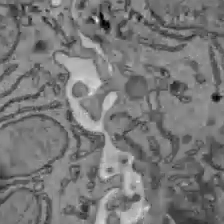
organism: C57BL Mouse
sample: Liver